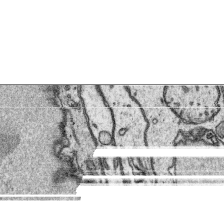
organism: Platynereis dumerilii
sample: Parapodia